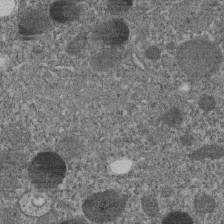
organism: C. elegans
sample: C. elegans embryo early stage